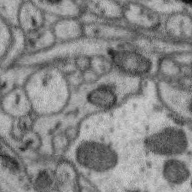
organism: Zebra finch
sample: Brain